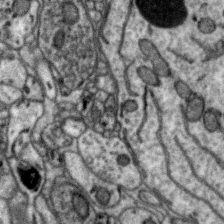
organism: Zebra finch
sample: Brain